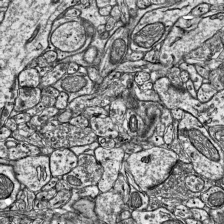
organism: Mouse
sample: Visual Cortex